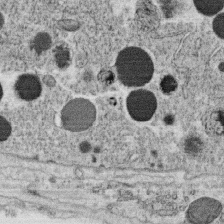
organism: C. elegans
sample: C. elegans oocyte; sperm cells